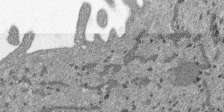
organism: Human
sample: Lung epithelial cells infected with SARS-CoV-2